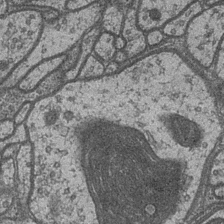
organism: Drosophila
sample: Optic medulla